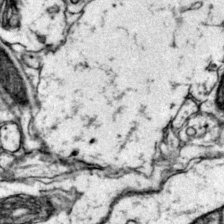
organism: Mouse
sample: Primary visual cortex